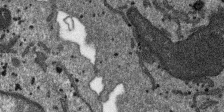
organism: Human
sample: Lung epithelial cells infected with SARS-CoV-2